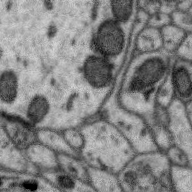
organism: Zebra finch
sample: Brain